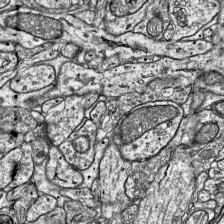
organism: Mouse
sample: Visual Cortex